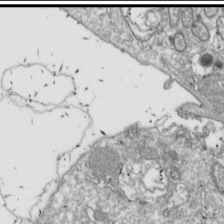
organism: Drosophila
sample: Cell division; meiosis; drosophila spermatocytes